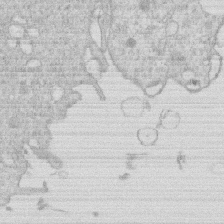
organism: Human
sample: Macrophage cells